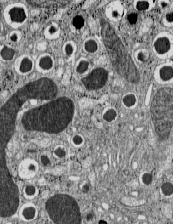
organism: C57BL Mouse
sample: Pancreatic islet